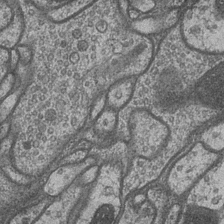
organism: Drosophila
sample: Optic medulla